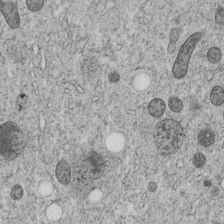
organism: C. elegans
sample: C. elegans embryo early stage